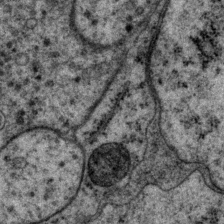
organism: P. pacificus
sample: Pharynx